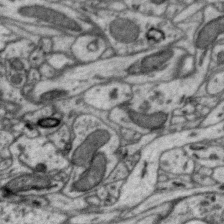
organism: Zebra finch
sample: Brain